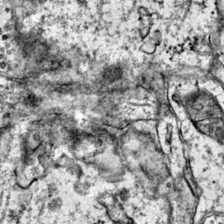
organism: Mouse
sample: Primary visual cortex